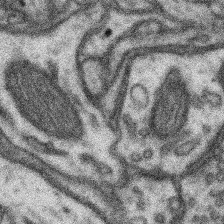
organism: Mouse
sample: Somatosensory cortex neuropil